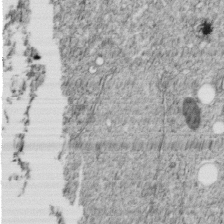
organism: C. elegans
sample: C. elegans embryo early stage